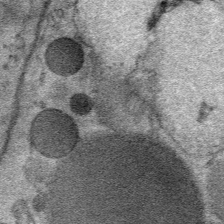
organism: Mouse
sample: Mouse Salivary gland